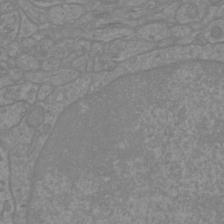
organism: Mouse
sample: Cortical neurons